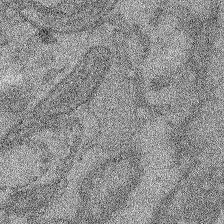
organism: Human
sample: HeLa cells